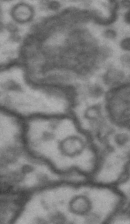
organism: Drosophila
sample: Brain